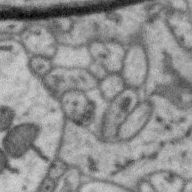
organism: Zebra finch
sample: Brain